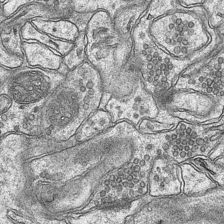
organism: Mouse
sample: CA1 Hippocampus